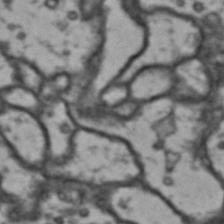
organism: Drosophila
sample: Brain